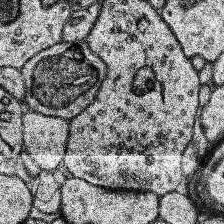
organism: Human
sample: Temporal Lobe